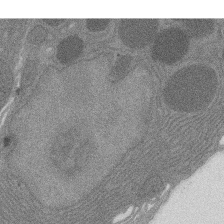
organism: Rat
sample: Salivary granule